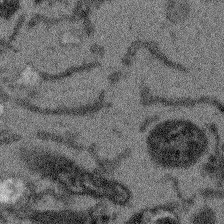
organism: Arabidopsis thaliana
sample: Root tip